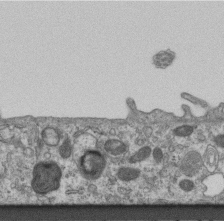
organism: Mouse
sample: Centriole in ependymal cells